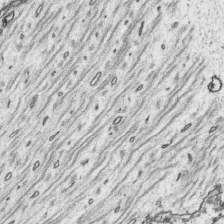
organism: Platynereis dumerilii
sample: Parapodia